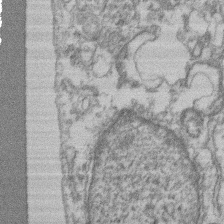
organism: Mouse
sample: T cell stromal cell synapse